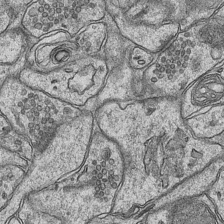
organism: Mouse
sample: CA1 Hippocampus